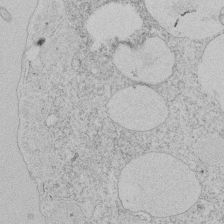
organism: Tetrahymena